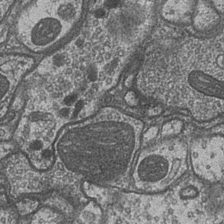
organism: Drosophila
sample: Optic medulla